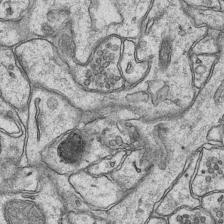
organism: Mouse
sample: CA1 Hippocampus